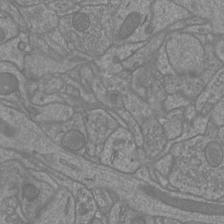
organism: Mouse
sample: Cortical neurons